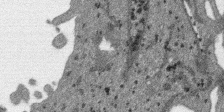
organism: Human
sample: Lung epithelial cells infected with SARS-CoV-2